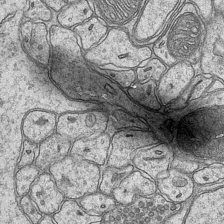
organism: Mouse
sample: CA1 Hippocampus